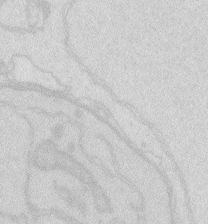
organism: Zebrafish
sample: Macrophage